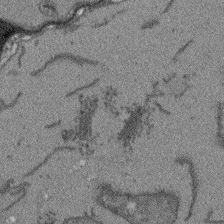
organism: Arabidopsis thaliana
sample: Root tip